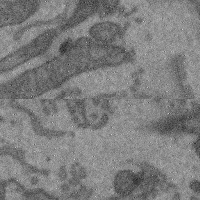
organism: Mouse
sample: Cerebral cortex